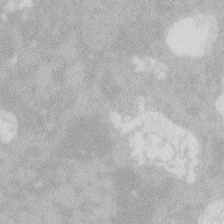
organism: Zebrafish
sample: Macrophage